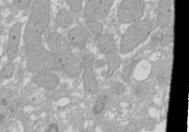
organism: Xenopus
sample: Cilia; centrioles in frog embryo cells